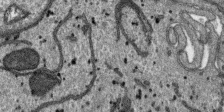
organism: Human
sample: Lung epithelial cells, uninfected (mock) control